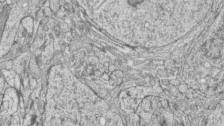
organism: Zebrafish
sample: synaptic ribbons in rod cells and cone cells